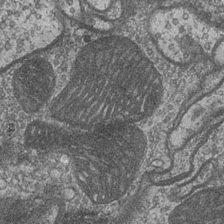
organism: Drosophila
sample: Optic medulla